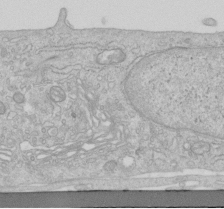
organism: Human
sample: Centriole in RPE cells